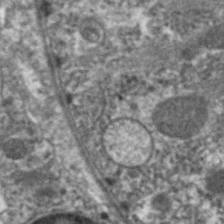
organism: C. elegans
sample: Pharynx